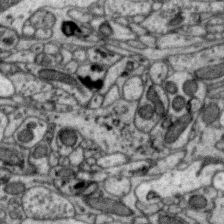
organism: Zebra finch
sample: Brain